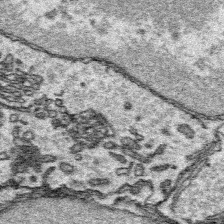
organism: Platynereis dumerilii